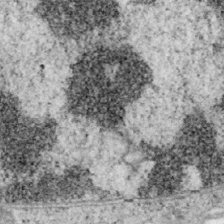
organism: Mouse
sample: OT-I killer T cells with ID8 ovarian cancer cells